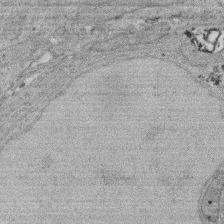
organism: Rat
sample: Salivary granule